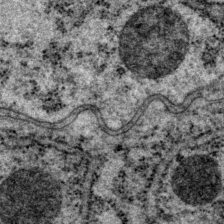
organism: P. pacificus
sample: Pharynx